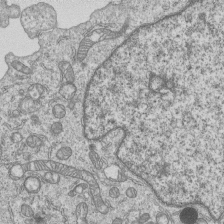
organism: Human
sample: MDA-MB-231 cells